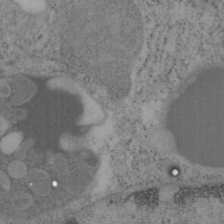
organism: Mouse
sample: OT-I killer T cells with ID8 ovarian cancer cells